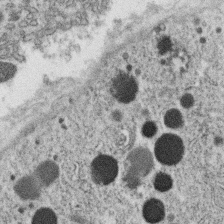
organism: C. elegans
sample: C. elegans oocyte; sperm cells